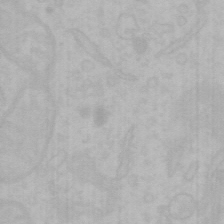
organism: Mouse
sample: Choroid plexus